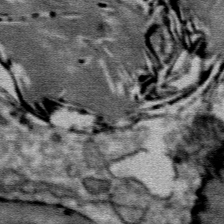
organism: Mouse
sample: Mouse Salivary gland